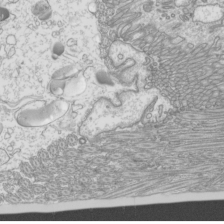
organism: Mouse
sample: Cilia; mouse epididymis